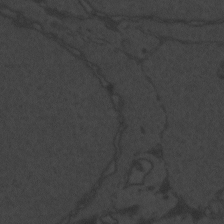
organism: Zebrafish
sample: Macrophage infected with Toxoplasma gondii